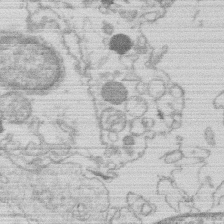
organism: Human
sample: Macrophage cells